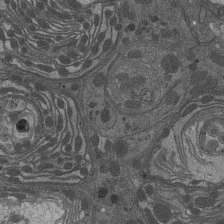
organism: Drosophila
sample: Antenna